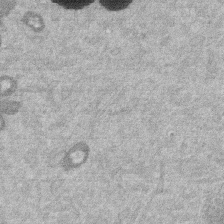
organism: Mouse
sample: Dividing mouse embryo 1 cell stage